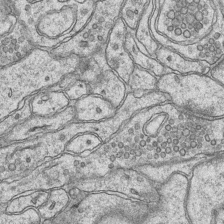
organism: Mouse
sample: CA1 Hippocampus